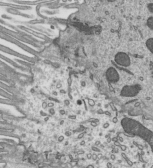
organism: Mouse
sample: Mouse epididymis efferent ductule cilia